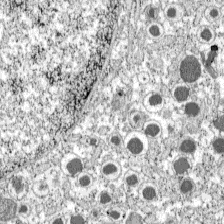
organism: C57BL Mouse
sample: Pancreatic islet